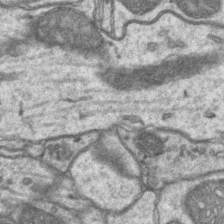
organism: Mouse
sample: CA1 Hippocampus